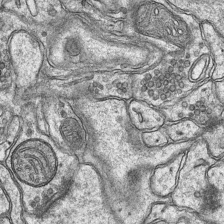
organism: Mouse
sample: CA1 Hippocampus